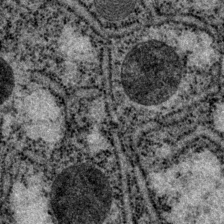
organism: P. pacificus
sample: Pharynx